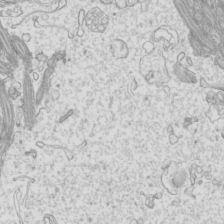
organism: Mouse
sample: Cilia; mouse epididymis